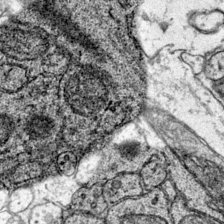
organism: Mouse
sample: Primary visual cortex